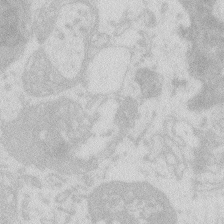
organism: Zebrafish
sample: Macrophage